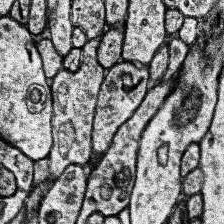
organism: Human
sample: Temporal Lobe